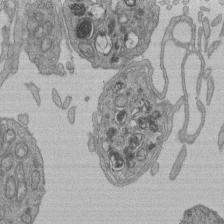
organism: Human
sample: Retinal organoid Rod and Cone cells